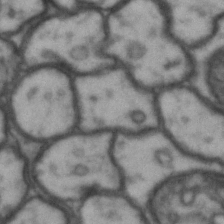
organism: Drosophila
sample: Brain